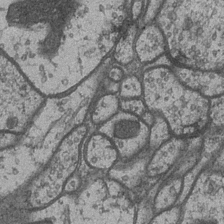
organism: Drosophila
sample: Optic medulla